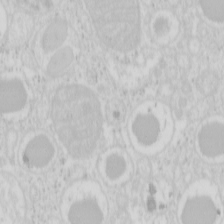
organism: Mouse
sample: Pancreas